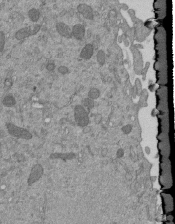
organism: Mouse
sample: ED-1 cell nuclei; centrioles